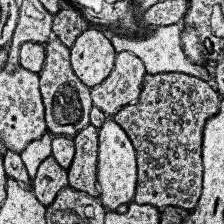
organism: Human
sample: Temporal Lobe